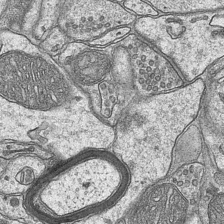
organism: Mouse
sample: CA1 Hippocampus